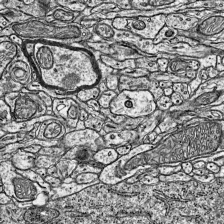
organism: Mouse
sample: Visual Cortex